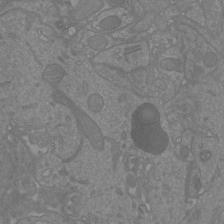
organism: Mouse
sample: Cortical neurons